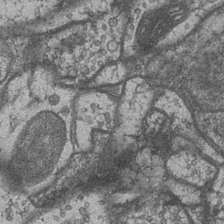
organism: Drosophila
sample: Optic medulla